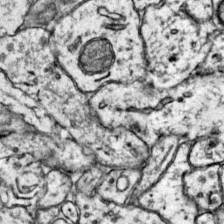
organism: Mouse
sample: Primary visual cortex